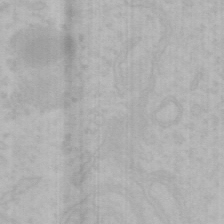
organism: Mouse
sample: Choroid plexus